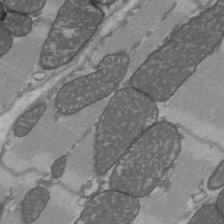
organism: C57BL Mouse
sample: Heart